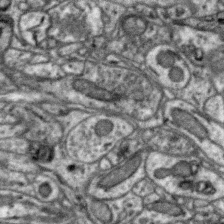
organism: Zebra finch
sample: Brain